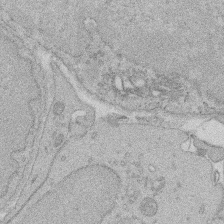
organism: Rat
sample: Salivary granule